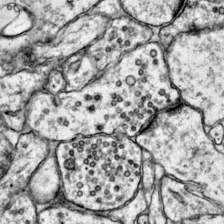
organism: Mouse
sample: Primary visual cortex